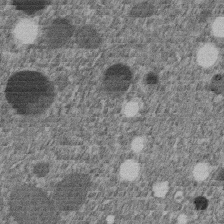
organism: C. elegans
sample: C. elegans embryo early stage